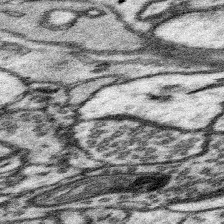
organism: Mouse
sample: Somatosensory cortex neuropil